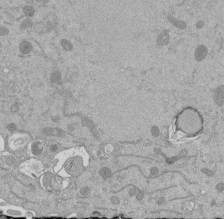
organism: Mouse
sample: ED-1 cell nuclei; centrioles